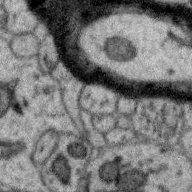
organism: Zebra finch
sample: Brain